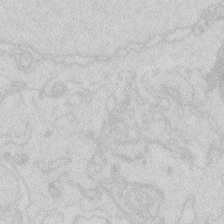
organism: Zebrafish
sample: Macrophage